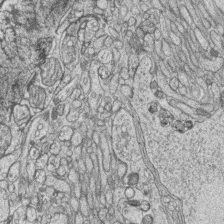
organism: Zebrafish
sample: synaptic ribbons in rod cells and cone cells